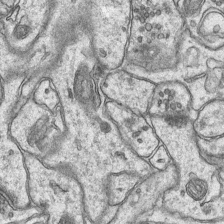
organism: Mouse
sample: CA1 Hippocampus